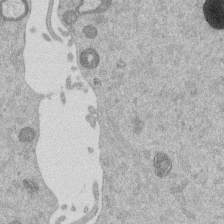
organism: Mouse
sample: Dividing mouse embryo 1 cell stage